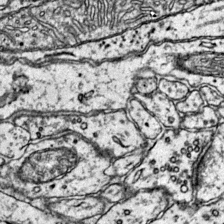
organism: Mouse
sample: Primary visual cortex